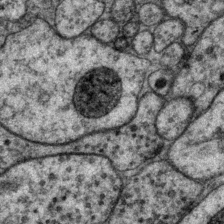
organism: P. pacificus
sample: Pharynx